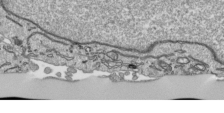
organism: Human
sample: Mitochondria in HCT116 cells